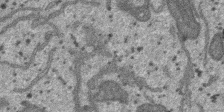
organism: Human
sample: Lung epithelial cells infected with SARS-CoV-2